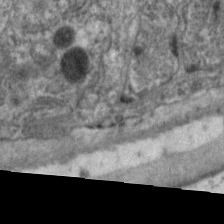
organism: C. elegans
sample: Pharynx